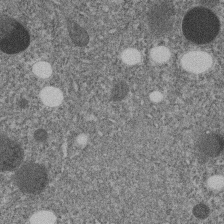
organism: C. elegans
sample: C. elegans embryo early stage